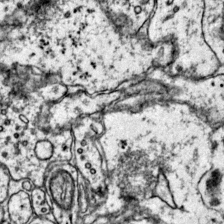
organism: Mouse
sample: Primary visual cortex